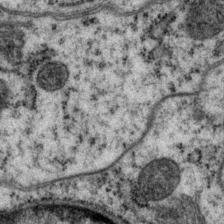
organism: P. pacificus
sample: Pharynx